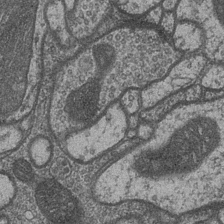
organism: Drosophila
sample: Optic medulla